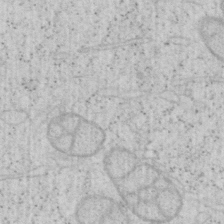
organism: Human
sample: HeLa cells